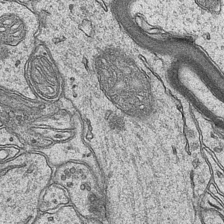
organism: Mouse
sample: CA1 Hippocampus